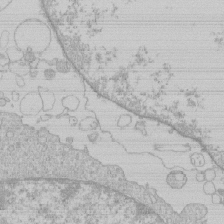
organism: Human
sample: Macrophage cells